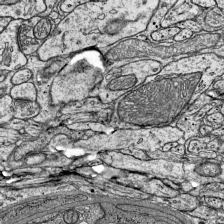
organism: Mouse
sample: Visual Cortex